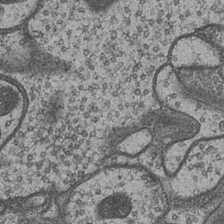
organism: Drosophila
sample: Optic medulla